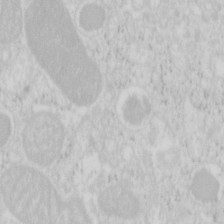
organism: Mouse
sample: Pancreas